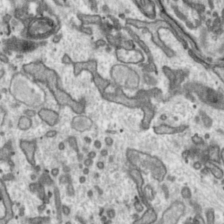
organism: Toxoplasma gondii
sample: Parasites in a vacuole inside a host cell